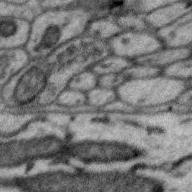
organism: Zebra finch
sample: Brain